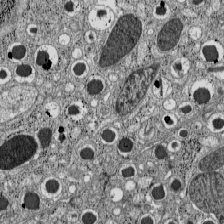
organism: C57BL Mouse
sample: Pancreatic islet